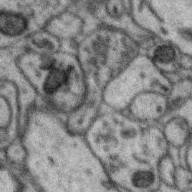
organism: Zebra finch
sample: Brain